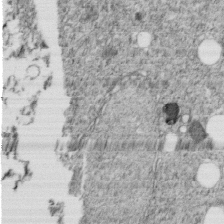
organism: C. elegans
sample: C. elegans embryo early stage